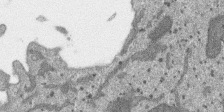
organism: Human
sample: Lung epithelial cells infected with SARS-CoV-2